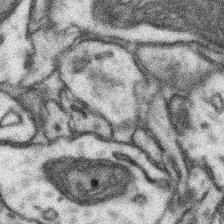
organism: Mouse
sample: Somatosensory cortex neuropil